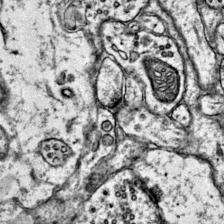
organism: Mouse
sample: Primary visual cortex